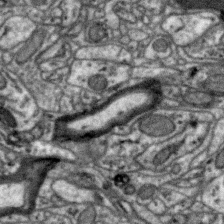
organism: Zebra finch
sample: Brain